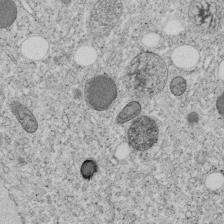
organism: C. elegans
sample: C. elegans embryo early stage